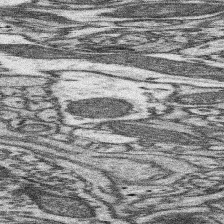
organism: Mouse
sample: Somatosensory cortex neuropil